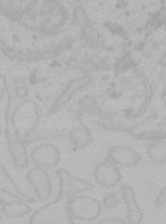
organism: Mouse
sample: Choroid plexus